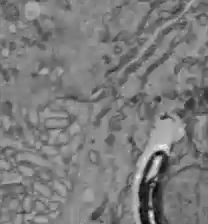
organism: C57BL Mouse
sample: Liver